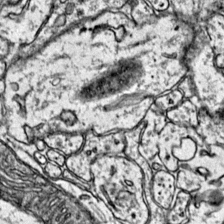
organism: Mouse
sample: Primary visual cortex